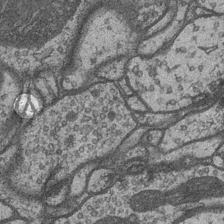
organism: Drosophila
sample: Optic medulla